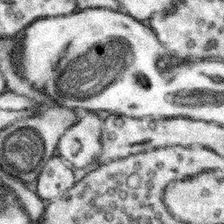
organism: Mouse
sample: Somatosensory cortex neuropil